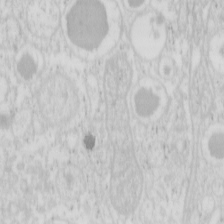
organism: Mouse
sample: Pancreas